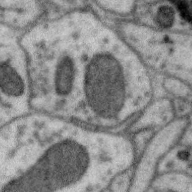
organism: Zebra finch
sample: Brain